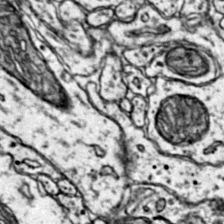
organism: Mouse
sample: Primary visual cortex